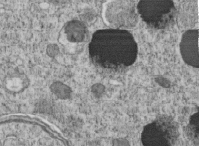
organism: C. elegans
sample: C. elegans embryo early stage